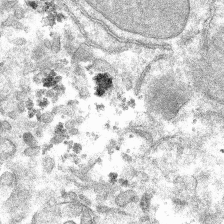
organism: Mouse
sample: Mouse hepatocytes